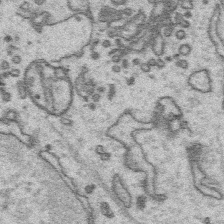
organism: Platynereis dumerilii